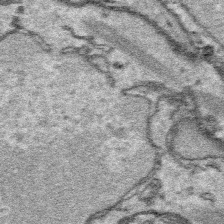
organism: Platynereis dumerilii